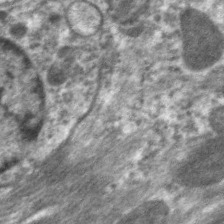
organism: C. elegans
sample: Pharynx